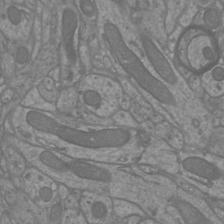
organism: Mouse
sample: Cortical neurons